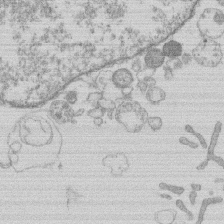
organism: Human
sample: Macrophage cells